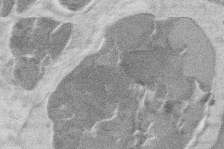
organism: Mouse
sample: T cell stromal cell synapse